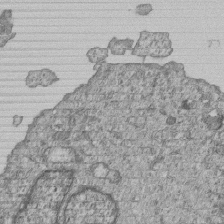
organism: Human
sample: MDA-MB-231 cells